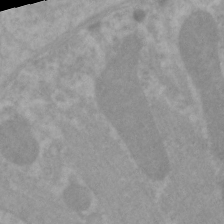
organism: C. elegans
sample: Pharynx